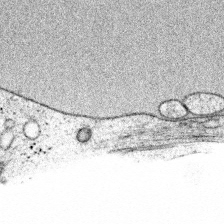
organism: Human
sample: HeLa cells